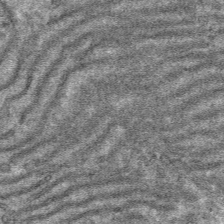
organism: Mouse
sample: Mouse hepatocytes